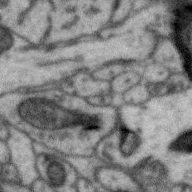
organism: Zebra finch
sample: Brain